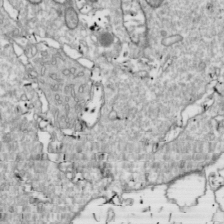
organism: Drosophila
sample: Cell division; meiosis; drosophila spermatocytes